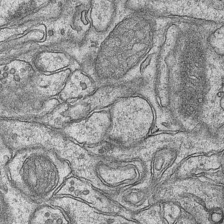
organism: Mouse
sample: CA1 Hippocampus